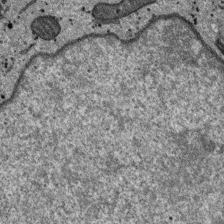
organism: Human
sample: Lung epithelial cells, uninfected (mock) control